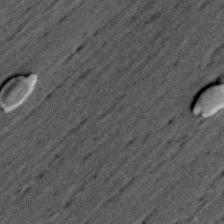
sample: Trachea